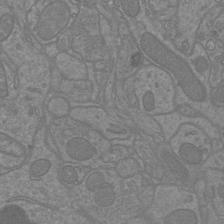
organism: Mouse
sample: Cortical neurons